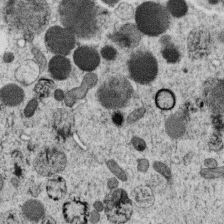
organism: C. elegans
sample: C. elegans oocyte; sperm cells